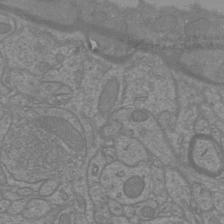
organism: Mouse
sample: Cortical neurons